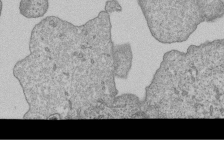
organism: Human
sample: MDA-MB-231 cells